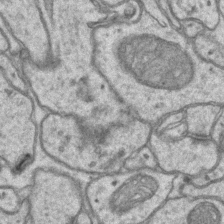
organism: Mouse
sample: CA1 Hippocampus